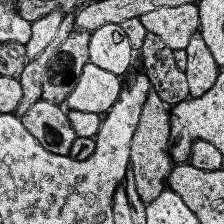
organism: Human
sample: Temporal Lobe